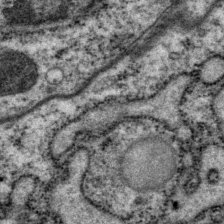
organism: P. pacificus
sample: Pharynx